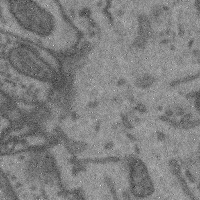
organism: Mouse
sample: Cerebral cortex